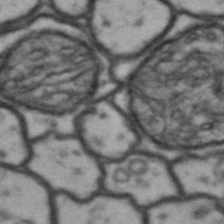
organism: Drosophila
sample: Brain